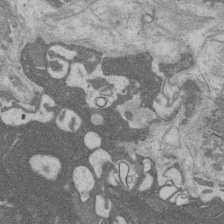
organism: Rat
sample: Salivary granule